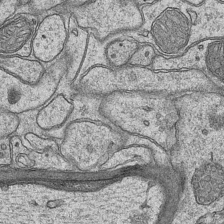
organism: Mouse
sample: CA1 Hippocampus